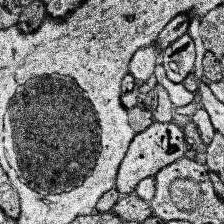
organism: Human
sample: Temporal Lobe